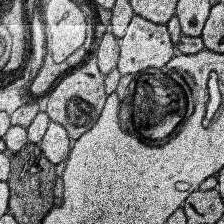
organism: Human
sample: Temporal Lobe